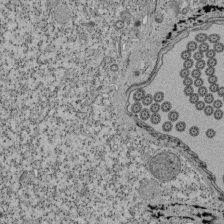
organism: Tetrahymena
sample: Cilia in tetrahymena